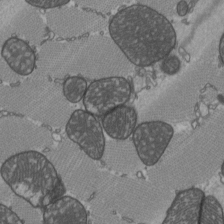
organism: C57BL Mouse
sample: Heart